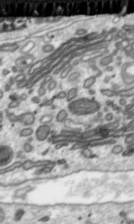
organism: Toxoplasma gondii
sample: Parasites in a vacuole inside a host cell